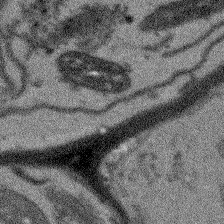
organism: Arabidopsis thaliana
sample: Root tip